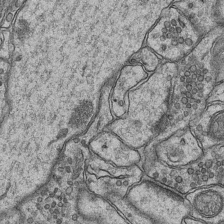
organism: Mouse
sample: CA1 Hippocampus